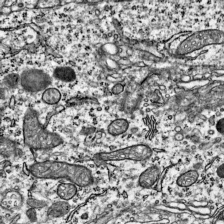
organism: Mouse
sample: Visual Cortex